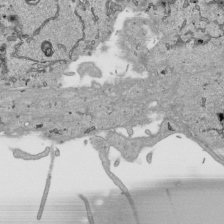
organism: Human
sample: Mitochondria in HCT116 cells